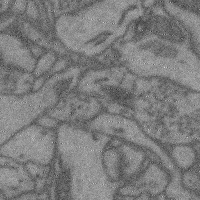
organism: Mouse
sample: Cerebral cortex